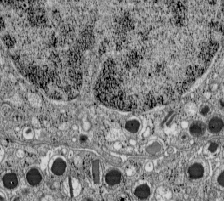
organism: C57BL Mouse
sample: Pancreatic islet